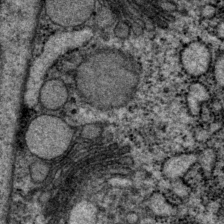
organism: P. pacificus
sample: Pharynx